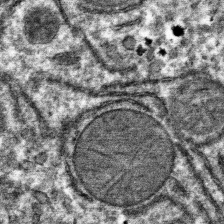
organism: Mouse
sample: Mouse hepatocytes